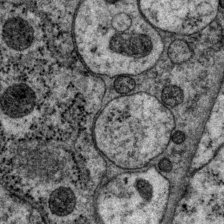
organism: P. pacificus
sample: Pharynx